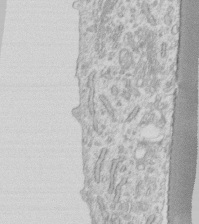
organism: Human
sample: Fibroblast cells